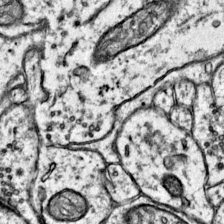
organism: Mouse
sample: Primary visual cortex